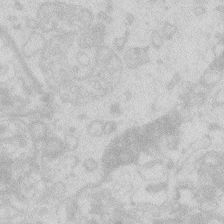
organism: Zebrafish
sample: Macrophage